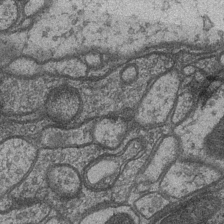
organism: Drosophila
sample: Optic medulla